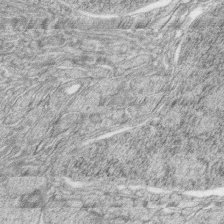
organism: Zebrafish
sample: synaptic ribbons in rod cells and cone cells